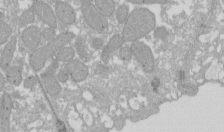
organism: Xenopus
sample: Cilia; centrioles in frog embryo cells